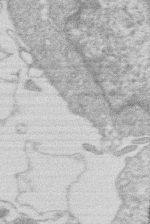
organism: Human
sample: Macrophage cells